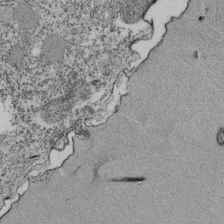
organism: Tetrahymena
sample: Cilia in tetrahymena